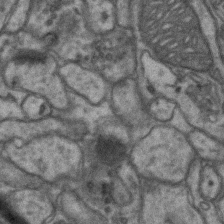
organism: Mouse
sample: CA1 Hippocampus